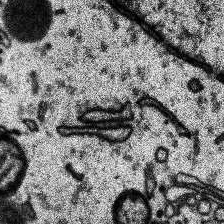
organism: Human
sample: Temporal Lobe